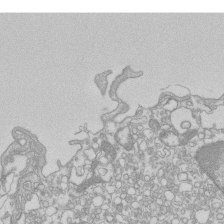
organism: Mouse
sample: Macrophages